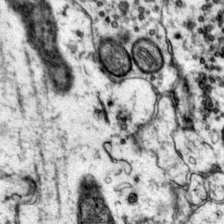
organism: Mouse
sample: Primary visual cortex